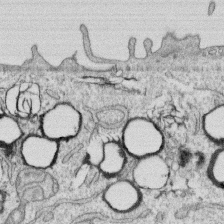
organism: Human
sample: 1205lu cells